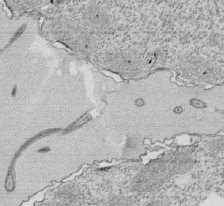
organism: Tetrahymena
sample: Cilia in tetrahymena